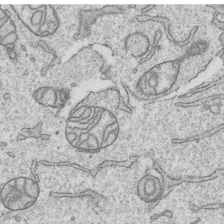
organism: Human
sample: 1205lu cells